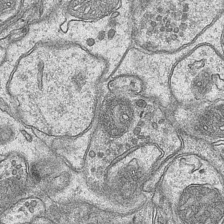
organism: Mouse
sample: CA1 Hippocampus